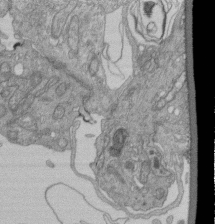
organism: Human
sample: Retinal organoid Rod and Cone cells